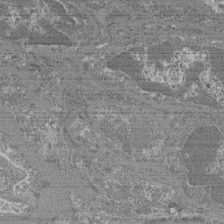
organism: Mouse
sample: Glomerulus